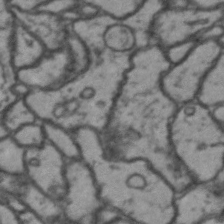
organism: Drosophila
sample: Brain